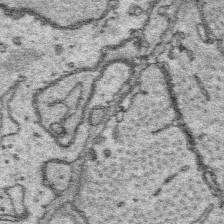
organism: Platynereis dumerilii